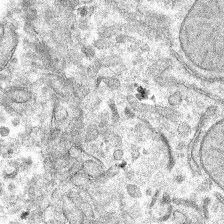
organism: Mouse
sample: Mouse hepatocytes